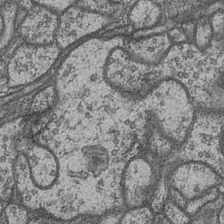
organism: Drosophila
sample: Optic medulla